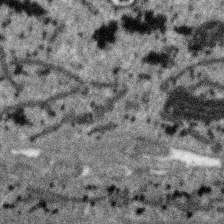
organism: Human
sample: Lung epithelial cells infected with SARS-CoV-2